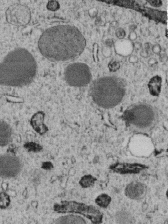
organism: C. elegans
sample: C. elegans embryo early stage